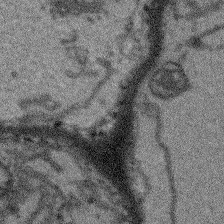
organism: Arabidopsis thaliana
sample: Root tip